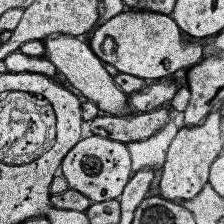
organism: Human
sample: Temporal Lobe